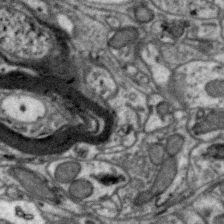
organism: Zebra finch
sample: Brain